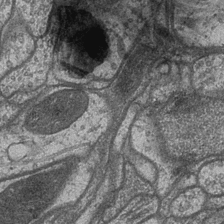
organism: Drosophila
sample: Optic medulla